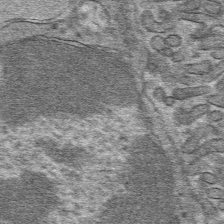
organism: Mouse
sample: Mouse hepatocytes